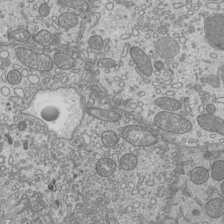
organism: Mouse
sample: Cilia; mouse epididymis